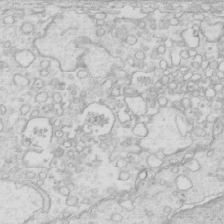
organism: Mouse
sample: Multiciliated cells